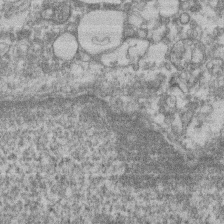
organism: Mouse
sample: T cell stromal cell synapse